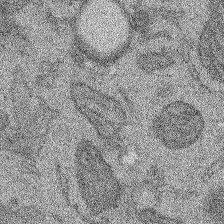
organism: Human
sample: HeLa cells